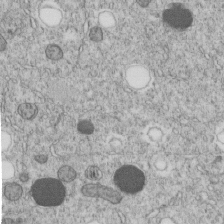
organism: C. elegans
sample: C. elegans embryo early stage